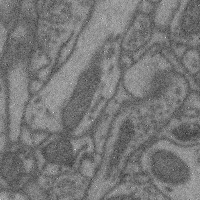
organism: Mouse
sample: Cerebral cortex